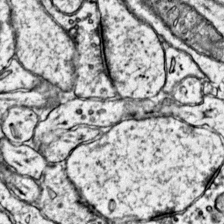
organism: Mouse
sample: Primary visual cortex